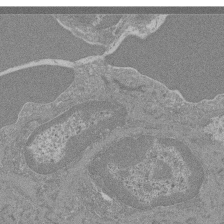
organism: Mouse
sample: Glomerulus